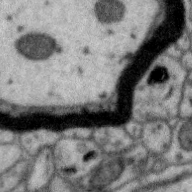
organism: Zebra finch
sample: Brain